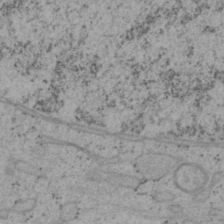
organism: Human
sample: HeLa cells